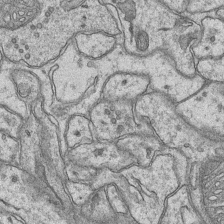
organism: Mouse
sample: CA1 Hippocampus